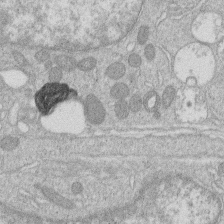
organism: Human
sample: Macrophage cells